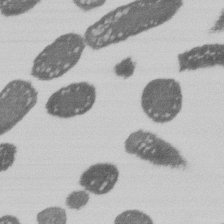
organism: E. coli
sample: Bacterial nucleoid